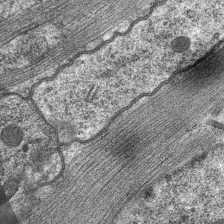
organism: C. elegans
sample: Pharynx